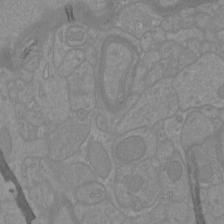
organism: Mouse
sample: Cortical neurons